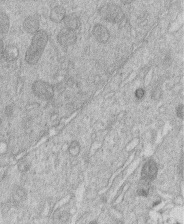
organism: Human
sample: Macrophage cells